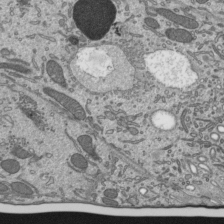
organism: Mouse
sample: Mouse epididymis efferent ductule cilia